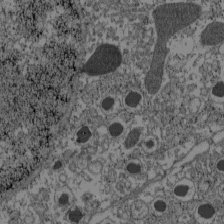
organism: C57BL Mouse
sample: Pancreatic islet